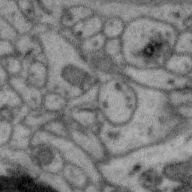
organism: Zebra finch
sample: Brain